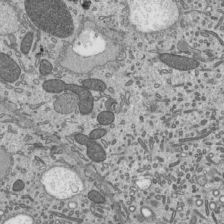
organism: Mouse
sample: Mouse epididymis efferent ductule cilia